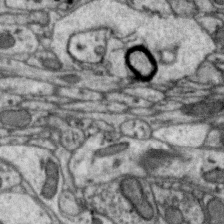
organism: Zebra finch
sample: Brain